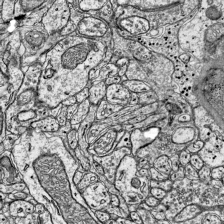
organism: Mouse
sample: Visual Cortex